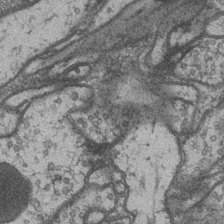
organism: Drosophila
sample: Optic medulla